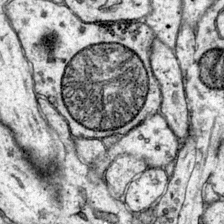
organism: Mouse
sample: Primary visual cortex